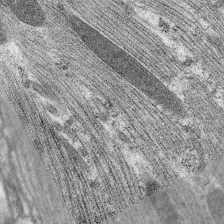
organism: C. elegans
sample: Pharynx